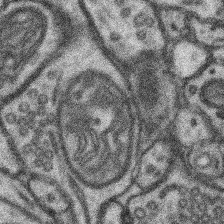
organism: Mouse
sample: Somatosensory cortex neuropil